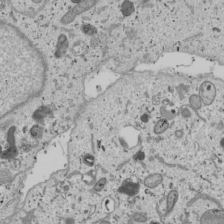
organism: Human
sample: Mitochondria in U2OS cells